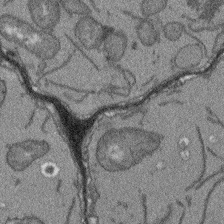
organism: Arabidopsis thaliana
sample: Root tip